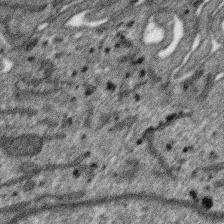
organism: Human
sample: Lung epithelial cells infected with SARS-CoV-2